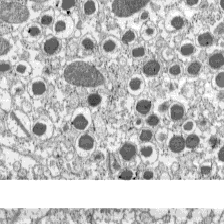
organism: C57BL Mouse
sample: Pancreatic islet